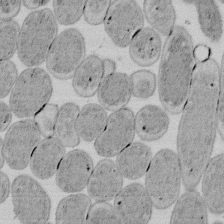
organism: E. coli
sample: Bacterial nucleoid